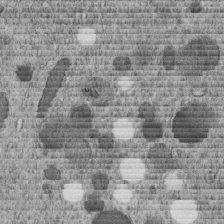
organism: C. elegans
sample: C. elegans embryo early stage